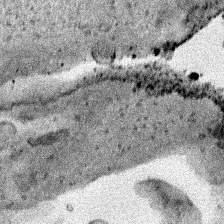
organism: Human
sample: Mitochondria in HCT116 cells